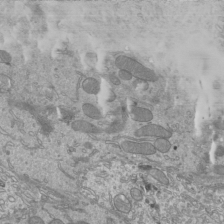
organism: Mouse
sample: Cilia; mouse epididymis